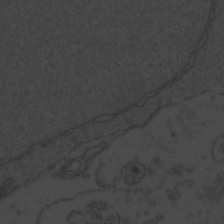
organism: Zebrafish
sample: Macrophage infected with Toxoplasma gondii